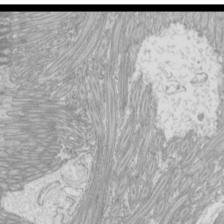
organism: Mouse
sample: Cilia; mouse epididymis